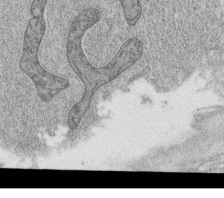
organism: C. elegans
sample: C. elegans oocyte; sperm cells